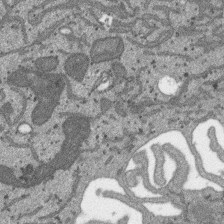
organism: Human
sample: Lung epithelial cells infected with SARS-CoV-2